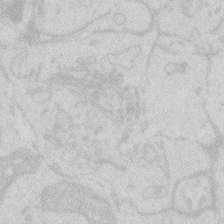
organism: Zebrafish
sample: Macrophage